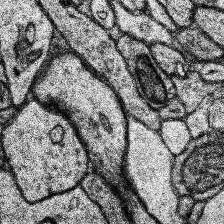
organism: Human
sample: Temporal Lobe